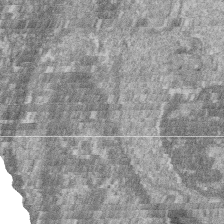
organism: Zebrafish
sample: Cilia; retinal pigment epithelium